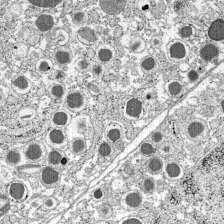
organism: C57BL Mouse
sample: Pancreatic islet